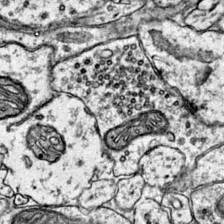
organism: Mouse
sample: Primary visual cortex